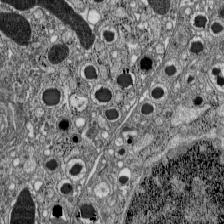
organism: C57BL Mouse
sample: Pancreatic islet